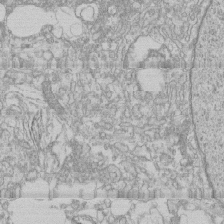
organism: Human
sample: CRL-1474